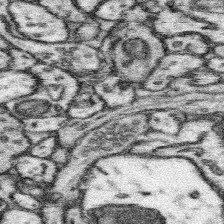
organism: Mouse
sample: Somatosensory cortex neuropil